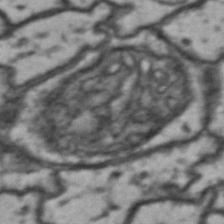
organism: Drosophila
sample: Brain